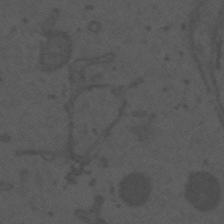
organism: Mouse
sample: Suprachiasmatic nucleus